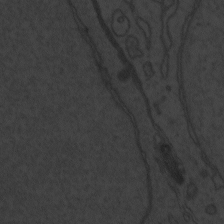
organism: Zebrafish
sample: Macrophage infected with Toxoplasma gondii